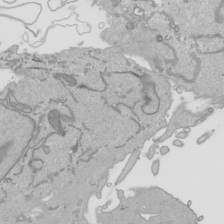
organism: Human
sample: Mitochondria in HCT116 cells